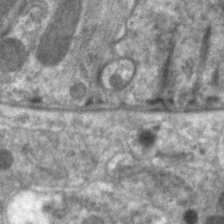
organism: C. elegans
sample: Pharynx